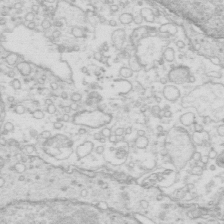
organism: Mouse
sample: Multiciliated cells